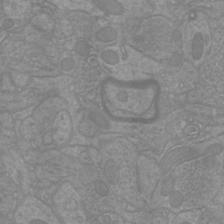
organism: Mouse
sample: Cortical neurons